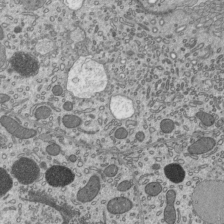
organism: Mouse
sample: Mouse epididymis efferent ductule cilia